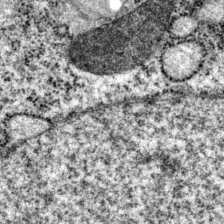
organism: P. pacificus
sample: Pharynx